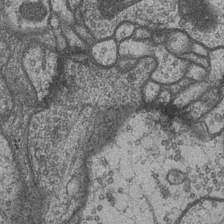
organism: Drosophila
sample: Optic medulla